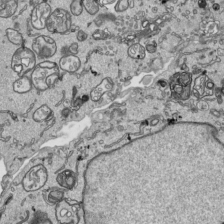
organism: Human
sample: Mitochondria in HCT116 cells